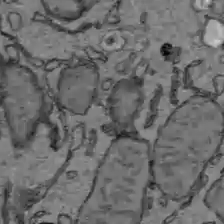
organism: C57BL Mouse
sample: Liver